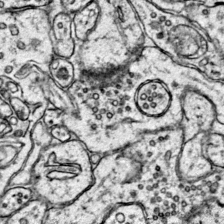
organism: Mouse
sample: Primary visual cortex